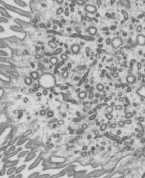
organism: Mouse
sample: Mouse epididymis efferent ductule cilia